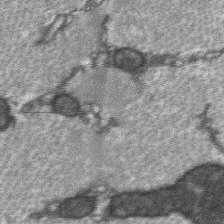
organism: C57BL Mouse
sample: Soleus